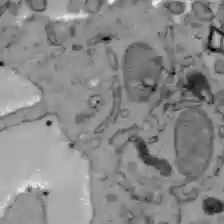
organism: C57BL Mouse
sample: Liver